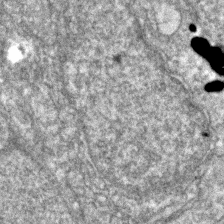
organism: Zebrafish